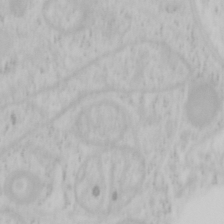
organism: Mouse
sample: OT-I killer T cells with ID8 ovarian cancer cells